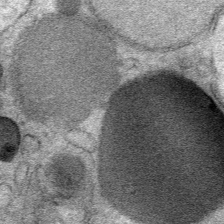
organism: Mouse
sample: Mouse Salivary gland